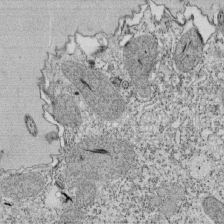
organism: Tetrahymena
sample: Cilia in tetrahymena